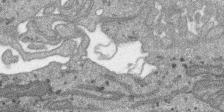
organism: Human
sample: Lung epithelial cells infected with SARS-CoV-2